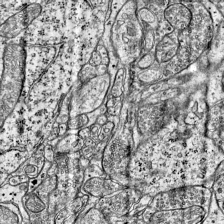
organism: Mouse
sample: Visual Cortex